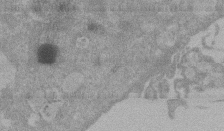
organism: Mouse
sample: ED-1 cell nuclei; centrioles